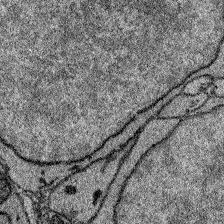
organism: Zebrafish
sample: Larval olfactory bulb